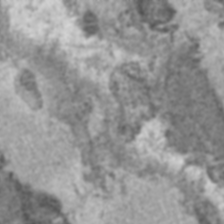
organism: C57BL Mouse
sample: Heart